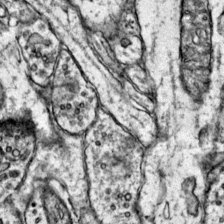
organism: Mouse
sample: Primary visual cortex